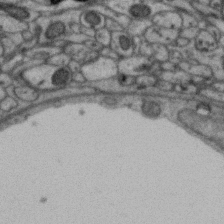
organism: Zebra finch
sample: Brain